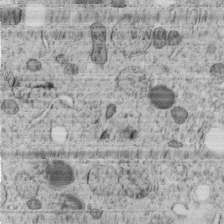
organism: C. elegans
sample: C. elegans embryo early stage